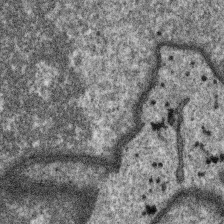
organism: Human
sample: Lung epithelial cells infected with SARS-CoV-2